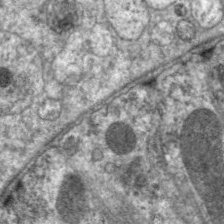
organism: C. elegans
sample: Pharynx